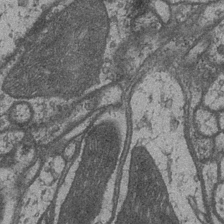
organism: Drosophila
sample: Optic medulla